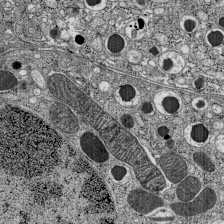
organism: C57BL Mouse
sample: Pancreatic islet